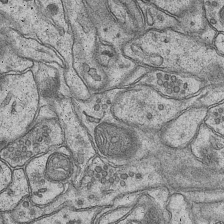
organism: Mouse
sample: CA1 Hippocampus